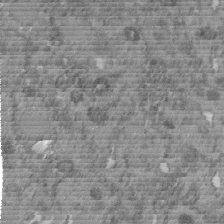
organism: C. elegans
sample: C. elegans embryo early stage